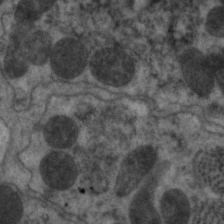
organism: C. elegans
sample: Pharynx